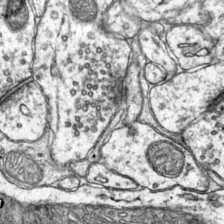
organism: Mouse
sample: Primary visual cortex